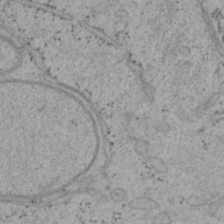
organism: Human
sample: HeLa cells